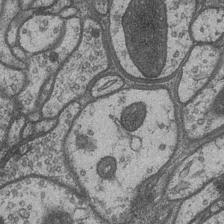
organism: Drosophila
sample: Optic medulla